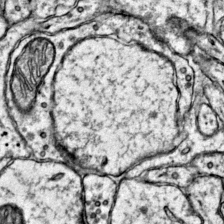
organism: Mouse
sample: Primary visual cortex